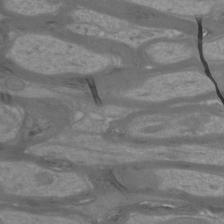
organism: Mouse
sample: Cortical neurons